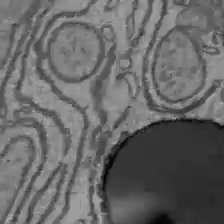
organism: C57BL Mouse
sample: Liver